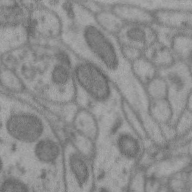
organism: Zebra finch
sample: Brain